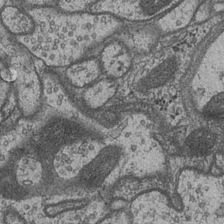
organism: Drosophila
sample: Optic medulla